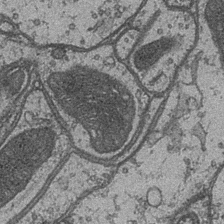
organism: Drosophila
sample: Optic medulla